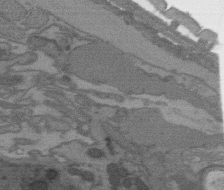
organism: C. elegans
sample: AFD neurons C. elegans